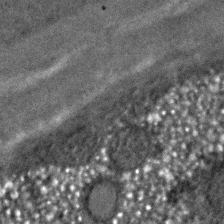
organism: C. elegans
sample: C. elegans embryo